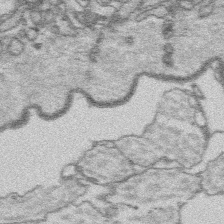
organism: Platynereis dumerilii